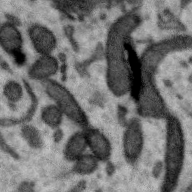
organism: Zebra finch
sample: Brain